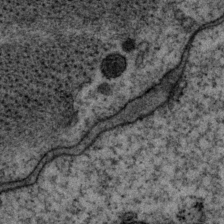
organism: P. pacificus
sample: Pharynx